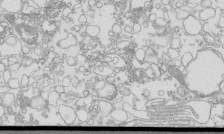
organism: Mouse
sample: Macrophages